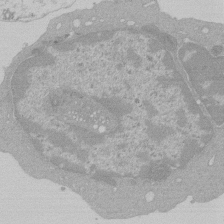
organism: Mouse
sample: Activated Pmel transgenic CD8+ T Cells